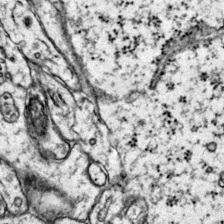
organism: Mouse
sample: Primary visual cortex